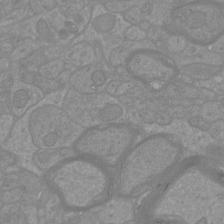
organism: Mouse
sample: Cortical neurons